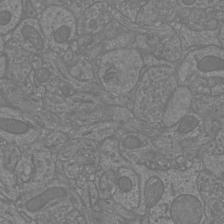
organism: Mouse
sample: Cortical neurons